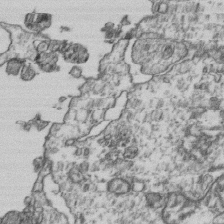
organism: Human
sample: Activated Jurkat CD4+ T cells